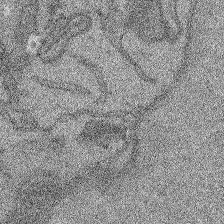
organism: Human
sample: HeLa cells